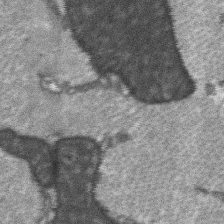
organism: C57BL Mouse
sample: Soleus